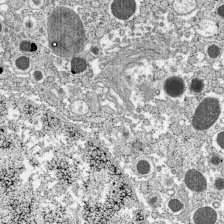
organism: C57BL Mouse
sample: Pancreatic islet